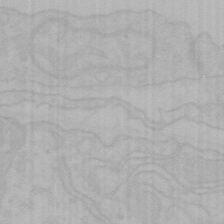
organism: Mouse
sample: Choroid plexus